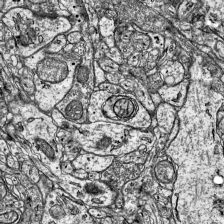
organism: Mouse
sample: Visual Cortex